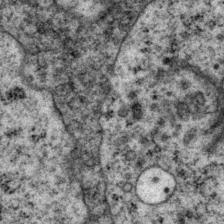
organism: P. pacificus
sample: Pharynx